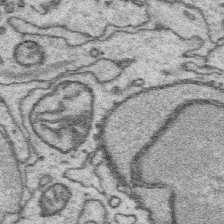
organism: Platynereis dumerilii